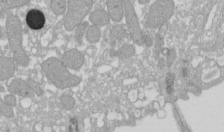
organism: Xenopus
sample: Cilia; centrioles in frog embryo cells